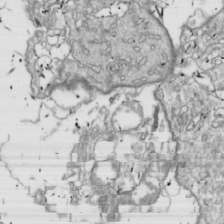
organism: Drosophila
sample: Cell division; meiosis; drosophila spermatocytes